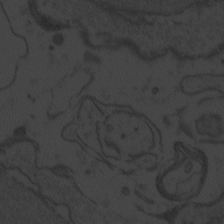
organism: Zebrafish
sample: Macrophage infected with Toxoplasma gondii